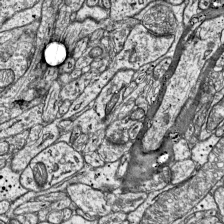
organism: Mouse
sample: Visual Cortex